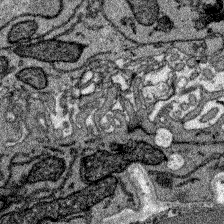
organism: Zebrafish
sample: Larval olfactory bulb